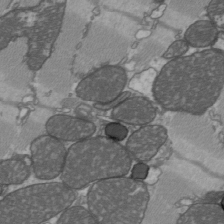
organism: C57BL Mouse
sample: Heart